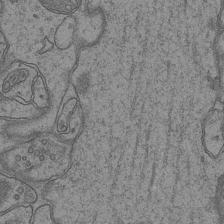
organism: Mouse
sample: CA1 Hippocampus